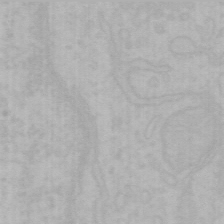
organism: Mouse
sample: Choroid plexus